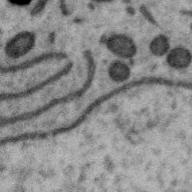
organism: Zebra finch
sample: Brain